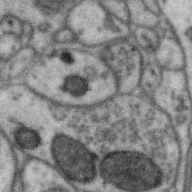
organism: Zebra finch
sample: Brain